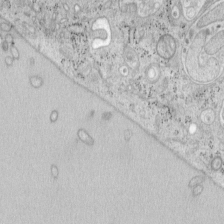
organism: Mouse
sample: OT-I killer T cells with ID8 ovarian cancer cells